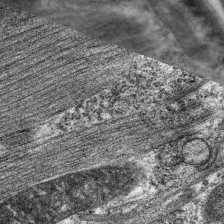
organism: C. elegans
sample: Pharynx